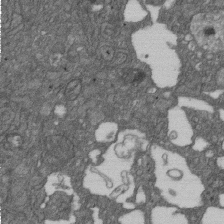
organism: Drosophila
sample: Nephrocyte